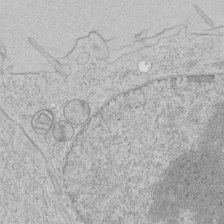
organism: Human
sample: Mitochondria in HCT116 cells